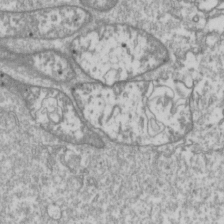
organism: Drosophila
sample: Cell division; meiosis; drosophila spermatocytes